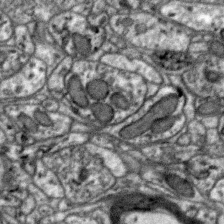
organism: Zebra finch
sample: Brain